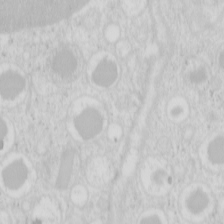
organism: Mouse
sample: Pancreas